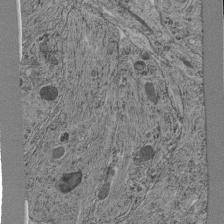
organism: C. elegans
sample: C. elegans pharynx